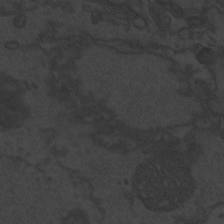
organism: Zebrafish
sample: Macrophage infected with Toxoplasma gondii